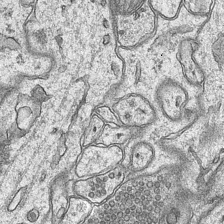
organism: Mouse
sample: CA1 Hippocampus